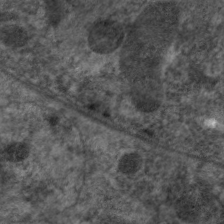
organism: C. elegans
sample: Pharynx